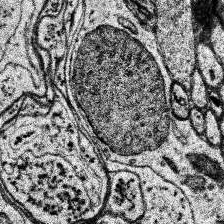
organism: Human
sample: Temporal Lobe